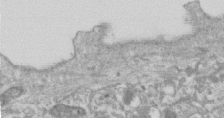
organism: Human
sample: Centriole in RPE cells